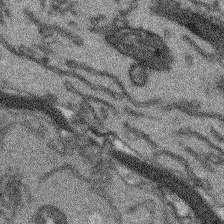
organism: Arabidopsis thaliana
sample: Root tip